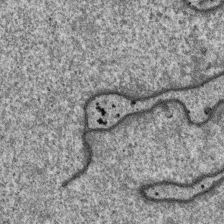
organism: Human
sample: Lung epithelial cells, uninfected (mock) control